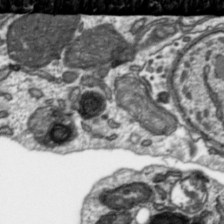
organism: Toxoplasma gondii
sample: Parasites in a vacuole inside a host cell